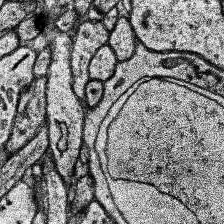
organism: Human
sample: Temporal Lobe